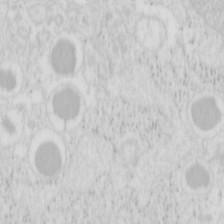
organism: Mouse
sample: Pancreas